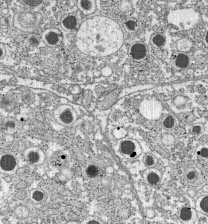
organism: C57BL Mouse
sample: Pancreatic islet